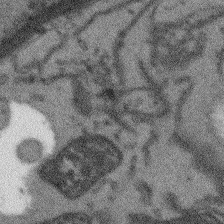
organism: Arabidopsis thaliana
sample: Root tip